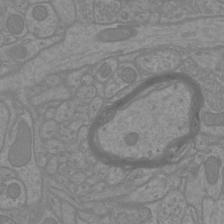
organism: Mouse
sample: Cortical neurons